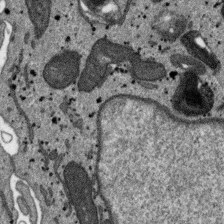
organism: Human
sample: Lung epithelial cells, uninfected (mock) control